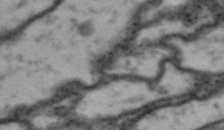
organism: Drosophila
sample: Brain